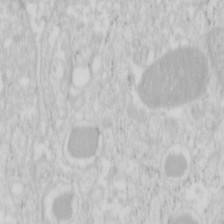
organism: Mouse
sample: Pancreas